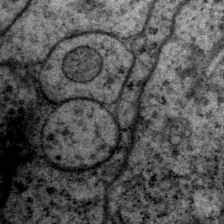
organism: P. pacificus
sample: Pharynx